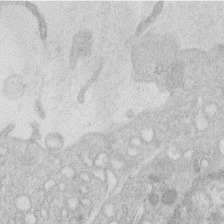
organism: Human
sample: Macrophage cells